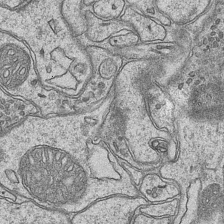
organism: Mouse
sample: CA1 Hippocampus